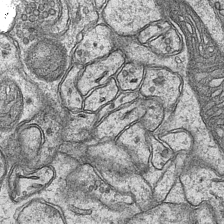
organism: Mouse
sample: CA1 Hippocampus